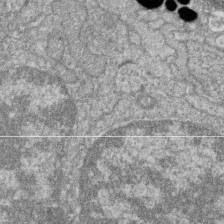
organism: Zebrafish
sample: Cilia; retinal pigment epithelium